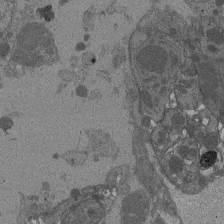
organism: Drosophila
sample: Antenna